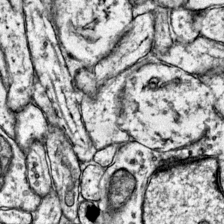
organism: Mouse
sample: Primary visual cortex